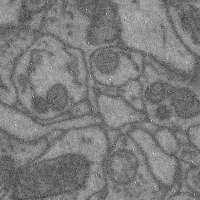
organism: Mouse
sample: Cerebral cortex